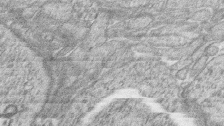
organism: Zebrafish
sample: synaptic ribbons in rod cells and cone cells